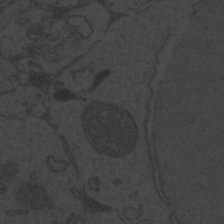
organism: Zebrafish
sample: Macrophage infected with Toxoplasma gondii